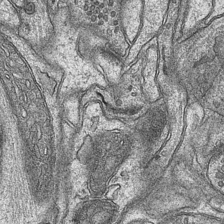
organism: Mouse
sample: CA1 Hippocampus